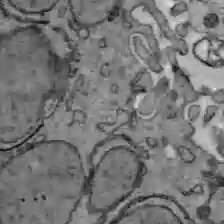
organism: C57BL Mouse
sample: Liver